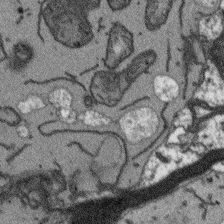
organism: Arabidopsis thaliana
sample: Root tip